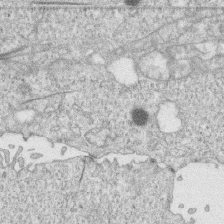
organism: Human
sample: HeLa cell HIV synapse